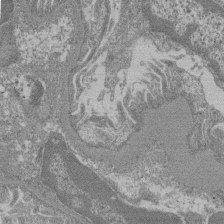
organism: Mouse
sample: Glomerulus